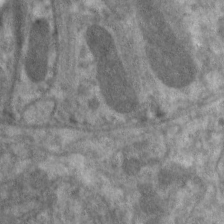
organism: C. elegans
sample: Pharynx